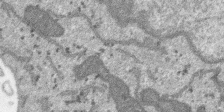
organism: Human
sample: Lung epithelial cells infected with SARS-CoV-2